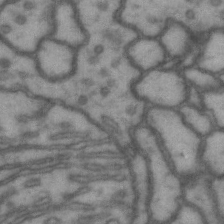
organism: Drosophila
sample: Brain